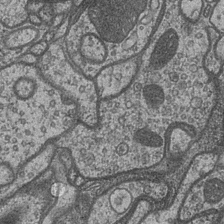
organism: Drosophila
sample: Optic medulla